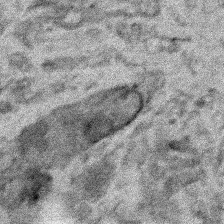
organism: Human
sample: Mitochondria in HCT116 cells